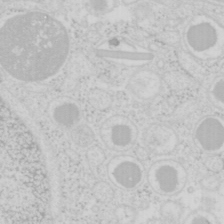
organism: Mouse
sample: Pancreas